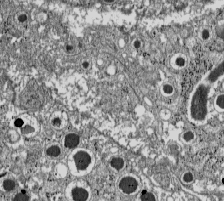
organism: C57BL Mouse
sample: Pancreatic islet